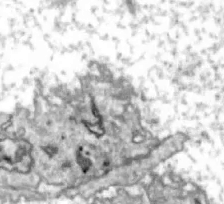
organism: Zebrafish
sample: Actinotrichia fibers